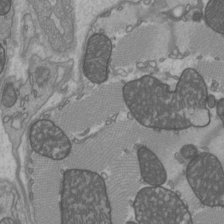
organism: C57BL Mouse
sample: Heart